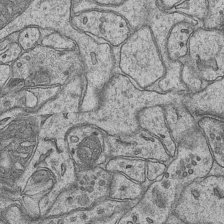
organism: Mouse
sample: CA1 Hippocampus